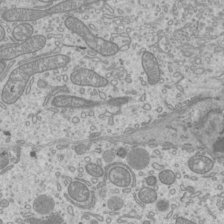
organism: Mouse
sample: Cilia; mouse epididymis